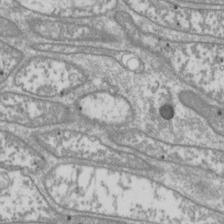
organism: Drosophila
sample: Cell division; meiosis; drosophila spermatocytes